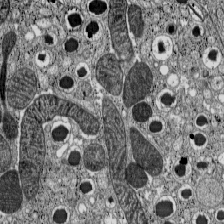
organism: C57BL Mouse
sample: Pancreatic islet